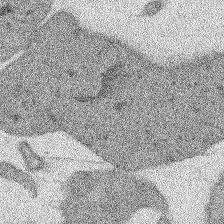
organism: Human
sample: HeLa cells